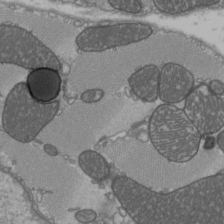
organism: C57BL Mouse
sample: Heart